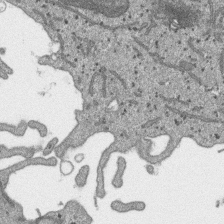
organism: Human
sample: Lung epithelial cells infected with SARS-CoV-2